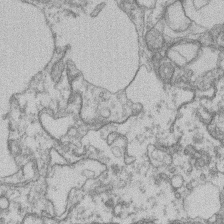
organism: Mouse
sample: T cell stromal cell synapse